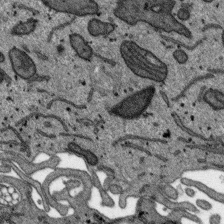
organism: Human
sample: Lung epithelial cells, uninfected (mock) control